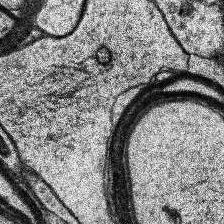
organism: Human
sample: Temporal Lobe